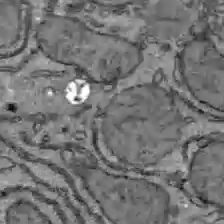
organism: C57BL Mouse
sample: Liver